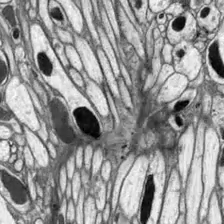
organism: Drosophila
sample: Optic lobe